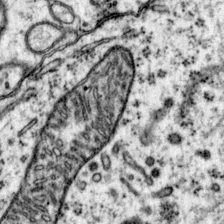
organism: Mouse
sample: Primary visual cortex